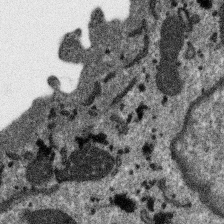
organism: Human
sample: Lung epithelial cells infected with SARS-CoV-2